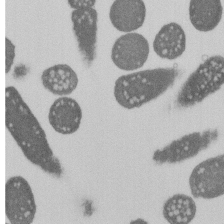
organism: E. coli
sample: Bacterial nucleoid